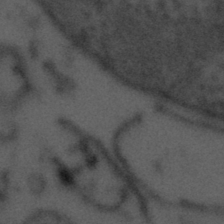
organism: Tuwongella immobilis